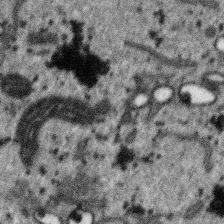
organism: Human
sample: Lung epithelial cells infected with SARS-CoV-2